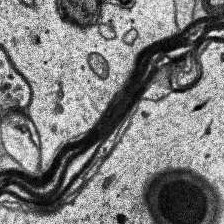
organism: Human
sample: Temporal Lobe